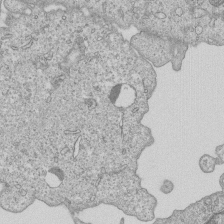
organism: Human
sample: MDA-MB-231 cells